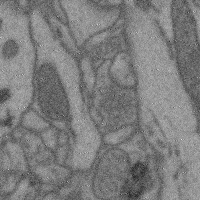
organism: Mouse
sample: Cerebral cortex